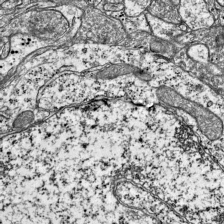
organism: Mouse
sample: Visual Cortex